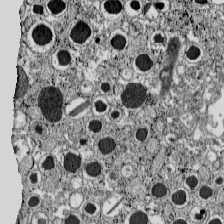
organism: C57BL Mouse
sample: Pancreatic islet